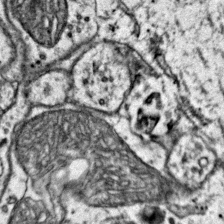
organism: Mouse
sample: Primary visual cortex